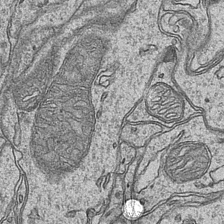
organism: Mouse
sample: CA1 Hippocampus